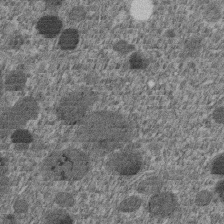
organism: C. elegans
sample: C. elegans embryo early stage